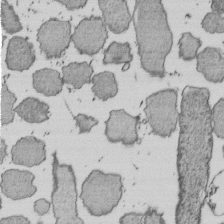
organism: E. coli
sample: Bacterial nucleoid